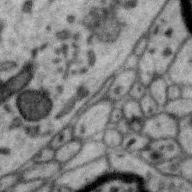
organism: Zebra finch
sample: Brain